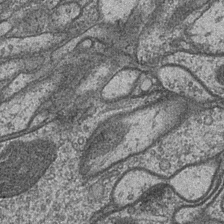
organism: Drosophila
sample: Optic medulla